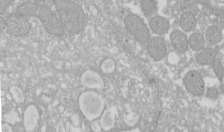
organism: Xenopus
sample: Cilia; centrioles in frog embryo cells